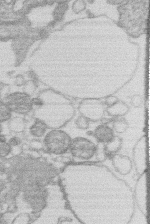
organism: Human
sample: Macrophage cells